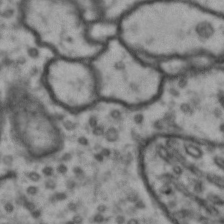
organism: Drosophila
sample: Brain